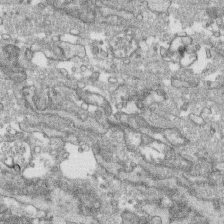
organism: Human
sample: CRL-1474